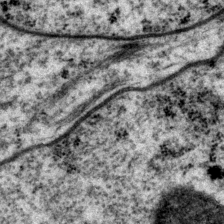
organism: P. pacificus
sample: Pharynx